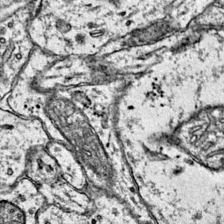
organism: Mouse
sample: Primary visual cortex